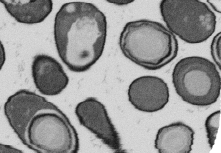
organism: B. subtilis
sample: Bacterial spore